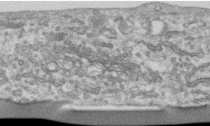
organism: Human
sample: Centriole in RPE cells